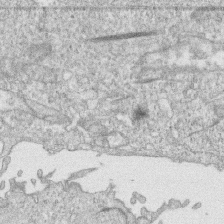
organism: Human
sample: HeLa cell HIV synapse